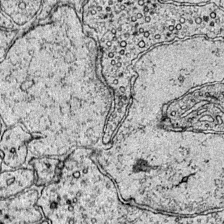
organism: Mouse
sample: Primary visual cortex